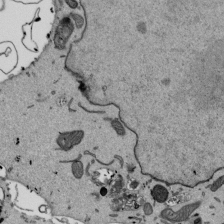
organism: Mouse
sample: ED-1 cell nuclei; centrioles